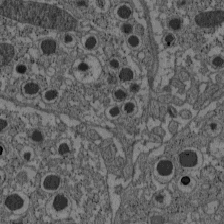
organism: C57BL Mouse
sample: Pancreatic islet